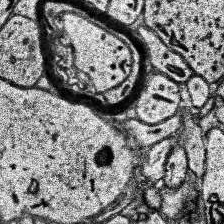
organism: Human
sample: Temporal Lobe